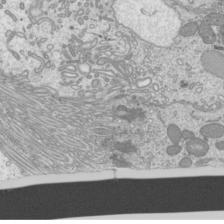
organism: Mouse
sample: Cilia; mouse epididymis